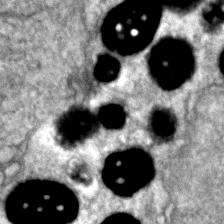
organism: Zebrafish